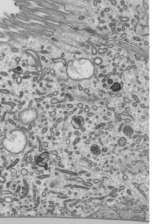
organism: Mouse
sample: Mouse epididymis efferent ductule cilia